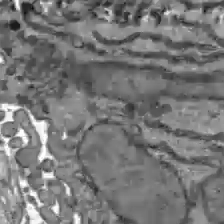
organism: C57BL Mouse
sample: Liver